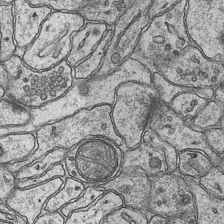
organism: Mouse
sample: CA1 Hippocampus